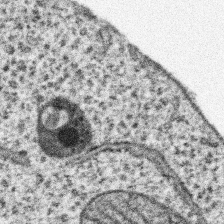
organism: Human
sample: HeLa cells